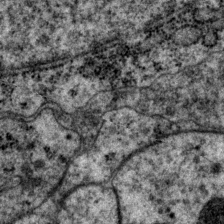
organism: P. pacificus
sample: Pharynx